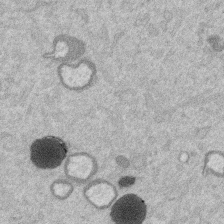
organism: Mouse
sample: Dividing mouse embryo 1 cell stage